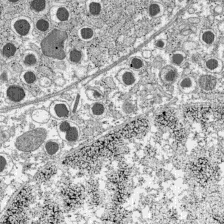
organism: C57BL Mouse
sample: Pancreatic islet